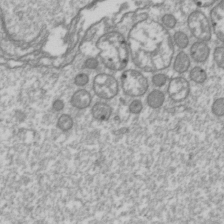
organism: Drosophila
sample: Cell division; meiosis; drosophila spermatocytes